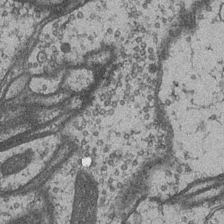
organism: Drosophila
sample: Optic medulla